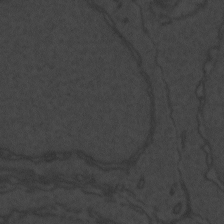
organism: Zebrafish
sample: Macrophage infected with Toxoplasma gondii